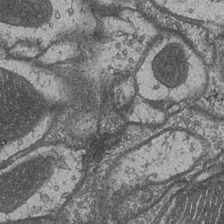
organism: Drosophila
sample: Optic medulla